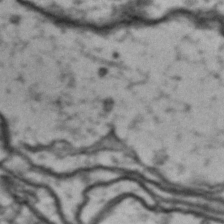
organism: Drosophila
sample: Brain